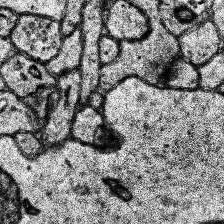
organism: Human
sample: Temporal Lobe